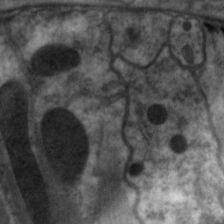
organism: C. elegans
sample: Pharynx